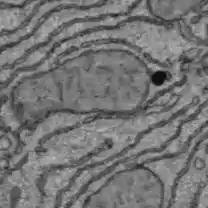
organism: C57BL Mouse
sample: Liver